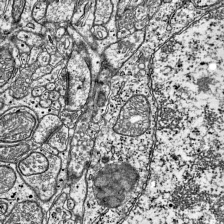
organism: Mouse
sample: Visual Cortex